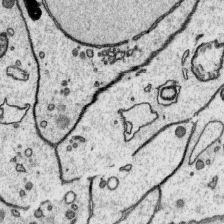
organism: Platynereis dumerilii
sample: Parapodia